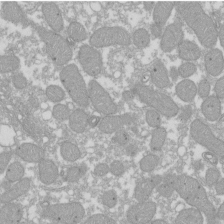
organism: Xenopus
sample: Cilia; centrioles in frog embryo cells